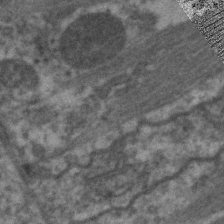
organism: C. elegans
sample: Pharynx